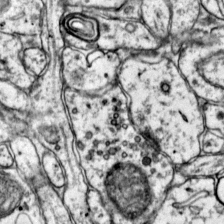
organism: Mouse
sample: Primary visual cortex